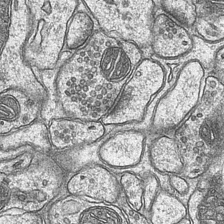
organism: Mouse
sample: CA1 Hippocampus